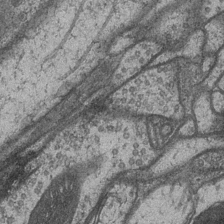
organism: Drosophila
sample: Optic medulla